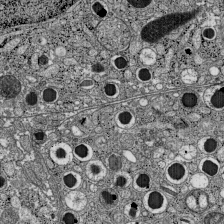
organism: C57BL Mouse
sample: Pancreatic islet